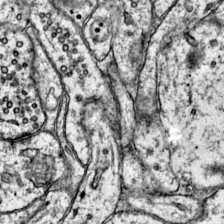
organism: Mouse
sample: Primary visual cortex